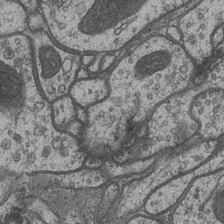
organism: Drosophila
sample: Optic medulla